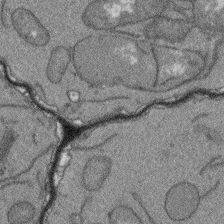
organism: Arabidopsis thaliana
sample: Root tip